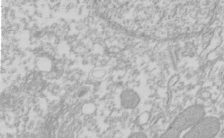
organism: Xenopus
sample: Cilia; centrioles in frog embryo cells